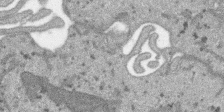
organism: Human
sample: Lung epithelial cells infected with SARS-CoV-2